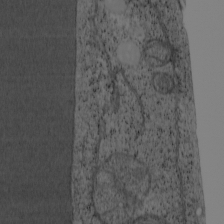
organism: African green monkey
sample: COS-7 cells